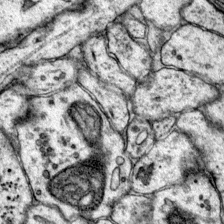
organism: Mouse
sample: Primary visual cortex